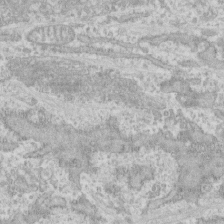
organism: Human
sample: CRL-1474